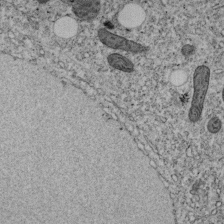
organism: C. elegans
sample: C. elegans embryo early stage